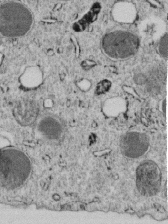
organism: C. elegans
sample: C. elegans embryo early stage